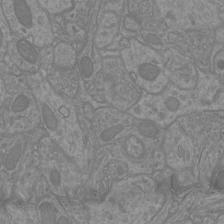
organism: Mouse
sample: Cortical neurons